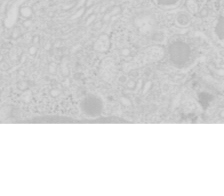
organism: Mouse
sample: Pancreas